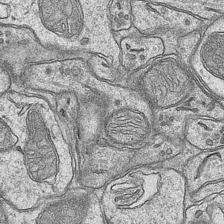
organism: Mouse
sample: CA1 Hippocampus